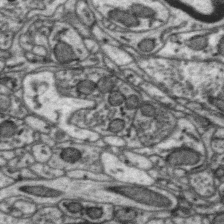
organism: Zebra finch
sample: Brain